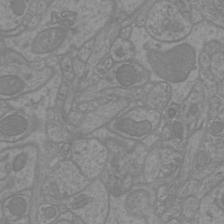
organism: Mouse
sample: Cortical neurons